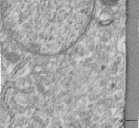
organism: Human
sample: Centriole in fibroblast cells